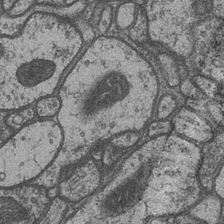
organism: Drosophila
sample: Optic medulla